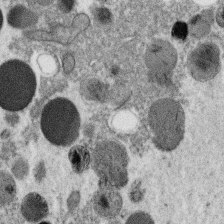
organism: C. elegans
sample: C. elegans oocyte; sperm cells